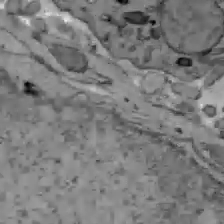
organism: C57BL Mouse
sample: Liver